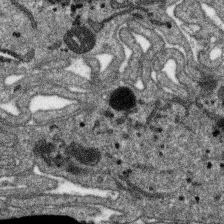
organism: Human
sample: Lung epithelial cells infected with SARS-CoV-2